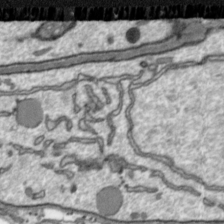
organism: Toxoplasma gondii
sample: Parasites in a vacuole inside a host cell